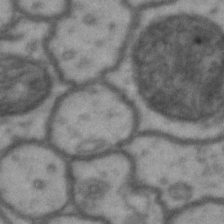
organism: Drosophila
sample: Brain